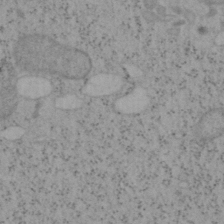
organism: Mouse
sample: OT-I killer T cells with ID8 ovarian cancer cells